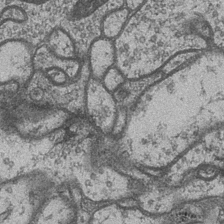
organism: Drosophila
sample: Optic medulla